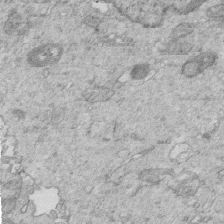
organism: Mouse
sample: Multiciliated cells